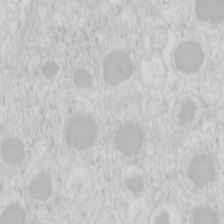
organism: Mouse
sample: Pancreas